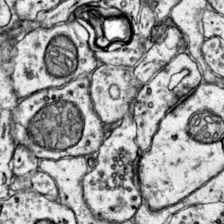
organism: Mouse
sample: Primary visual cortex